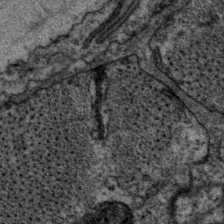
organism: P. pacificus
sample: Pharynx